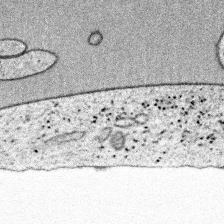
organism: Human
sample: HeLa cells